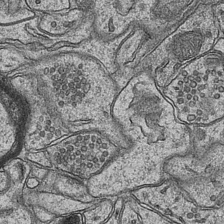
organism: Mouse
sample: CA1 Hippocampus